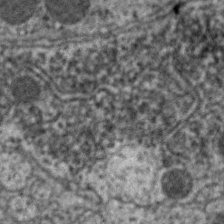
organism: C. elegans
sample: Pharynx